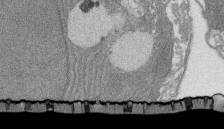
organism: Rat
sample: Salivary granule